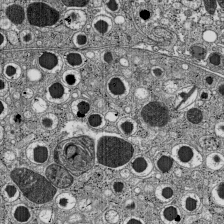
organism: C57BL Mouse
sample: Pancreatic islet